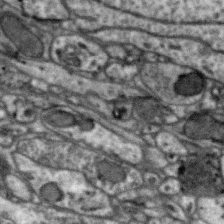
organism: Zebra finch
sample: Brain